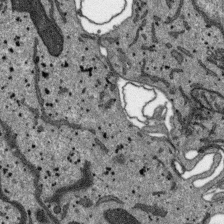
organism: Human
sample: Lung epithelial cells, uninfected (mock) control